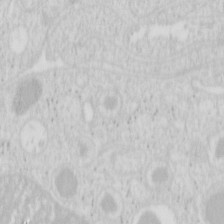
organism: Mouse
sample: Pancreas